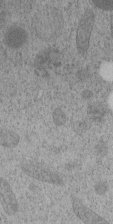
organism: C. elegans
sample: C. elegans embryo early stage